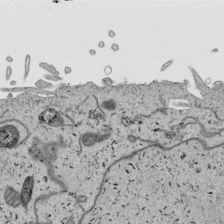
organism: Human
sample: Mitochondria in HCT116 cells